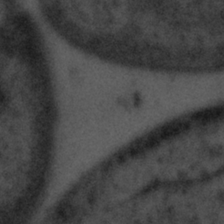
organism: Tuwongella immobilis